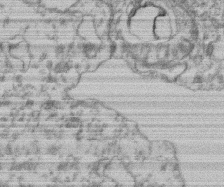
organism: Mouse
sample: T cell stromal cell synapse